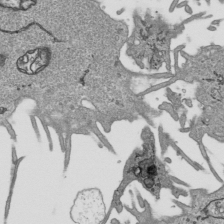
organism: Human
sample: Mitochondria in HCT116 cells